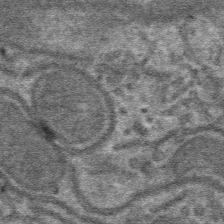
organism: Mouse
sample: Mouse hepatocytes